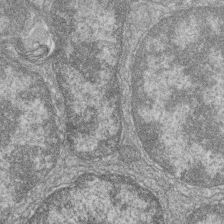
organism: Zebrafish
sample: Cilia; retinal pigment epithelium